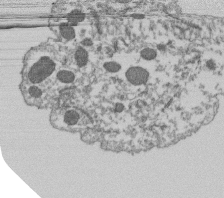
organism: Dictyostelium discoideum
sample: Dictyostelium multivesicular bodies